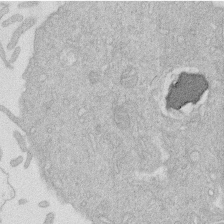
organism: Human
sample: Macrophage cells